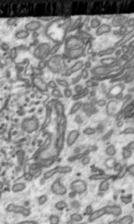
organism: Toxoplasma gondii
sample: Parasites in a vacuole inside a host cell